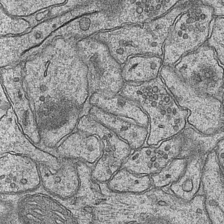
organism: Mouse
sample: CA1 Hippocampus